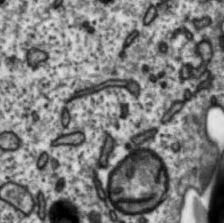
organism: Human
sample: HeLa cells